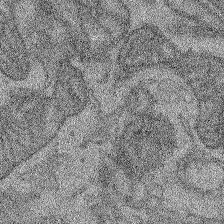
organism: Human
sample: HeLa cells